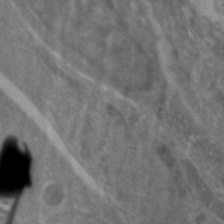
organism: Zebrafish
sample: Zebrafish embryo